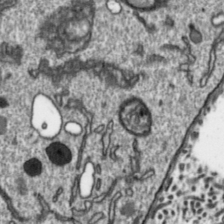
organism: Toxoplasma gondii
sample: Parasites in a vacuole inside a host cell